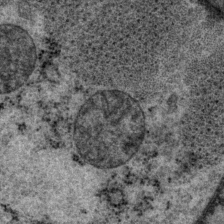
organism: P. pacificus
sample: Pharynx